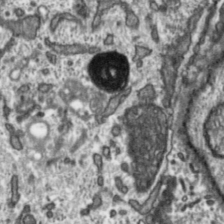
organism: Toxoplasma gondii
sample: Parasites in a vacuole inside a host cell